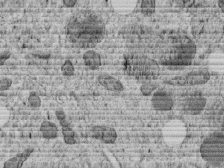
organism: C. elegans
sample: C. elegans embryo early stage